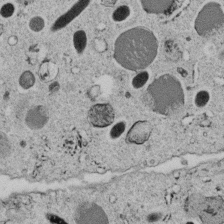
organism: C. elegans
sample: C. elegans embryo early stage